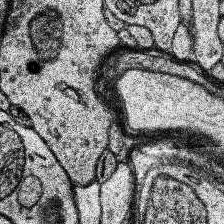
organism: Human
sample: Temporal Lobe